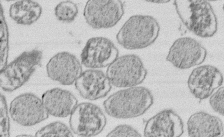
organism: E. coli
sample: Bacterial nucleoid